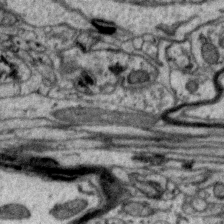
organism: Zebra finch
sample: Brain